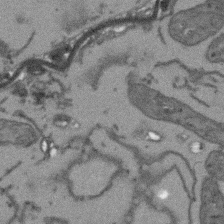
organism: Arabidopsis thaliana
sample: Root tip